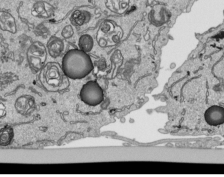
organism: Human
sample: Mitochondria in HCT116 cells